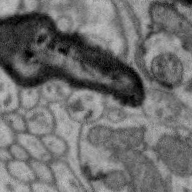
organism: Zebra finch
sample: Brain